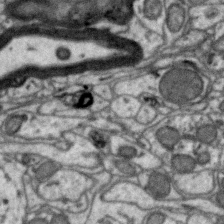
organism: Zebra finch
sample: Brain